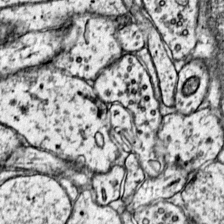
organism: Mouse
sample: Primary visual cortex